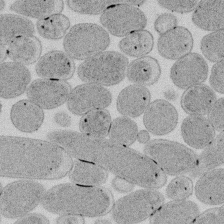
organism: E. coli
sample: Bacterial nucleoid